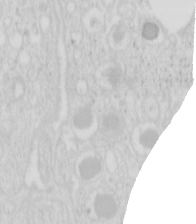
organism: Mouse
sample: Pancreas